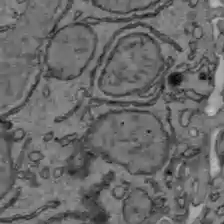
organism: C57BL Mouse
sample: Liver